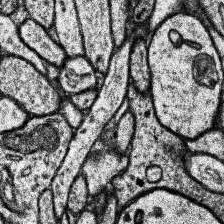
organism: Human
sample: Temporal Lobe